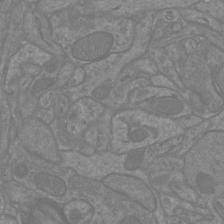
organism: Mouse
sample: Cortical neurons